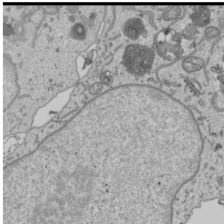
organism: Human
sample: Mitochondria in U2OS cells